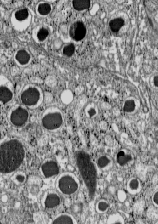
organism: C57BL Mouse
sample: Pancreatic islet